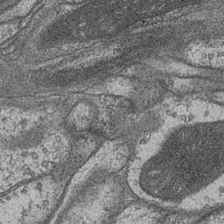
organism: Drosophila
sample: Optic medulla